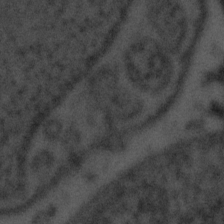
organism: Tuwongella immobilis